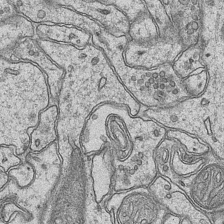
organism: Mouse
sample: CA1 Hippocampus